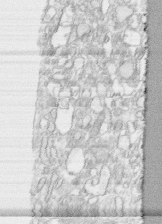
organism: Human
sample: CRL-1474